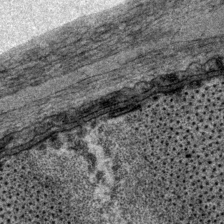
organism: P. pacificus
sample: Pharynx